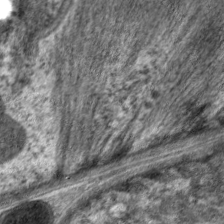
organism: C. elegans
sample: Pharynx